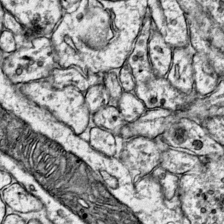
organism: Mouse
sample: Primary visual cortex